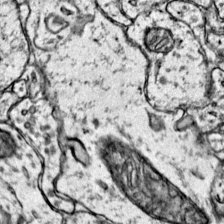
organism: Mouse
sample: Primary visual cortex